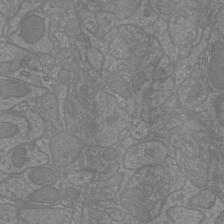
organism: Mouse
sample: Cortical neurons